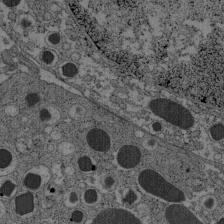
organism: C57BL Mouse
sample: Pancreatic islet